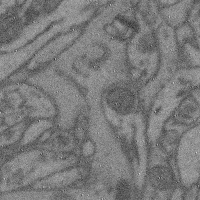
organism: Mouse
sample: Cerebral cortex